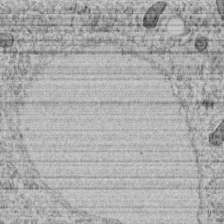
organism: C. elegans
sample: C. elegans embryo early stage